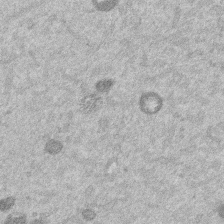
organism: Mouse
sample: Dividing mouse embryo 1 cell stage